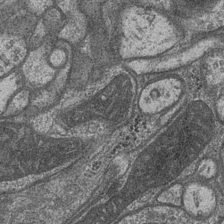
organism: Drosophila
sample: Optic medulla